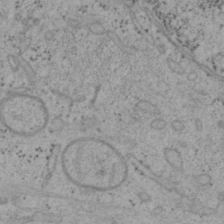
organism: Human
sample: HeLa cells